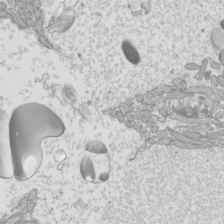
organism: Mouse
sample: Cilia; mouse epididymis